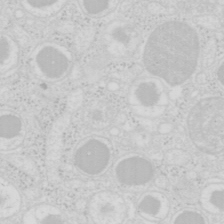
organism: Mouse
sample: Pancreas